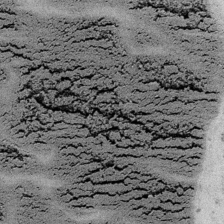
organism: Embia sp.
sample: Silk gland